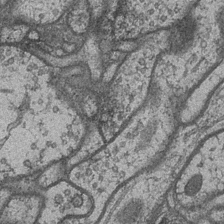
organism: Drosophila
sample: Optic medulla